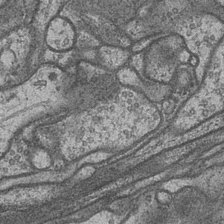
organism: Drosophila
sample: Optic medulla